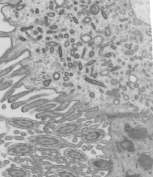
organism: Mouse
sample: Mouse epididymis efferent ductule cilia